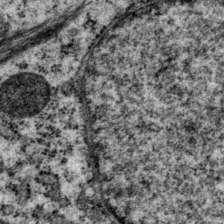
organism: P. pacificus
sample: Pharynx